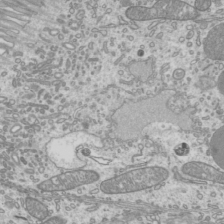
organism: Mouse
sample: Cilia; mouse epididymis